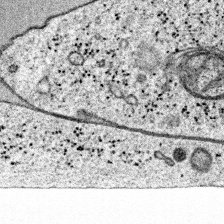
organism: Human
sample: HeLa cells